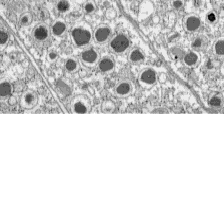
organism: C57BL Mouse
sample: Pancreatic islet